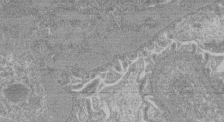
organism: Mouse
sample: Glomerulus